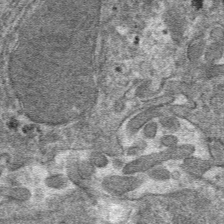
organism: Mouse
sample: Mouse hepatocytes